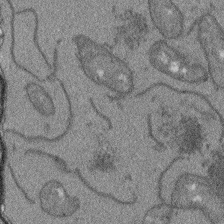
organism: Arabidopsis thaliana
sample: Root tip